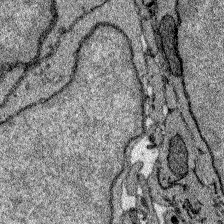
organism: Zebrafish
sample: Larval olfactory bulb